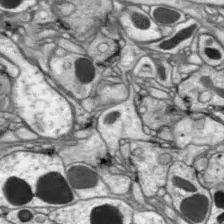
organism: Drosophila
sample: Optic lobe